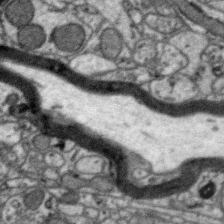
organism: Zebra finch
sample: Brain